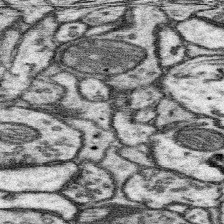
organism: Mouse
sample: Somatosensory cortex neuropil